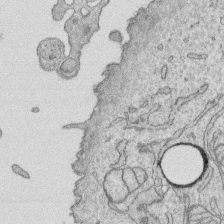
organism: Human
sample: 1205lu cells